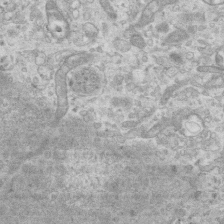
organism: Mouse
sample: Centriole in ependymal cells